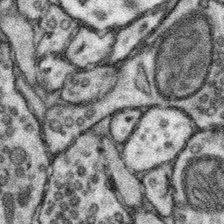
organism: Mouse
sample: Somatosensory cortex neuropil